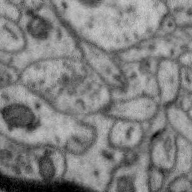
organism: Zebra finch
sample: Brain